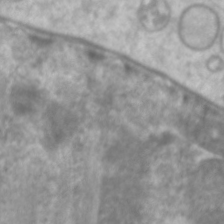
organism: C. elegans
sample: Pharynx